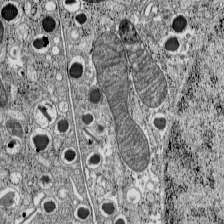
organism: C57BL Mouse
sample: Pancreatic islet